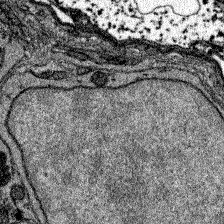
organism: Zebrafish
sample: Larval olfactory bulb